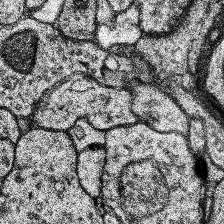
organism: Human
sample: Temporal Lobe